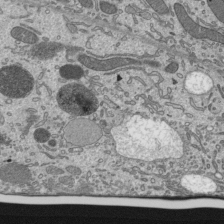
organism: Mouse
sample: Mouse epididymis efferent ductule cilia